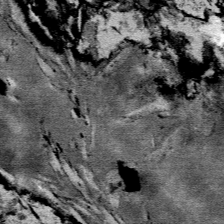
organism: Mouse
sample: Mouse Salivary gland